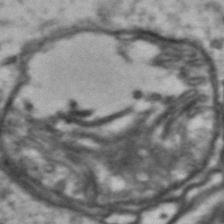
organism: Drosophila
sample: Brain